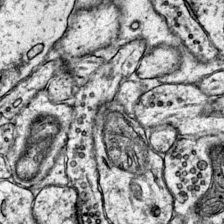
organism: Mouse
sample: Primary visual cortex